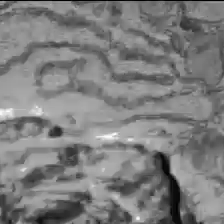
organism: C57BL Mouse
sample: Liver